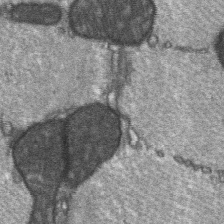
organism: C57BL Mouse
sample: Soleus